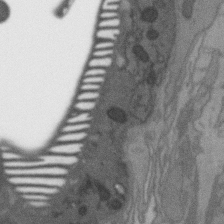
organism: C. elegans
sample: AFD neurons C. elegans